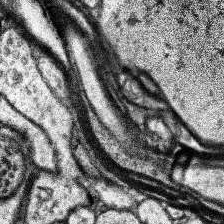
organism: Human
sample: Temporal Lobe